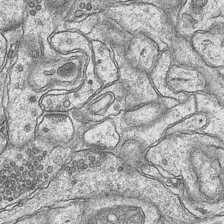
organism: Mouse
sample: CA1 Hippocampus